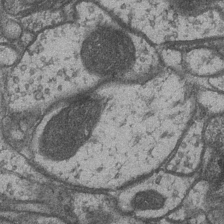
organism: Drosophila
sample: Optic medulla